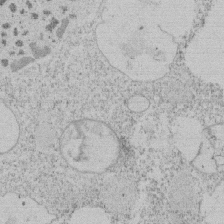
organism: Tetrahymena